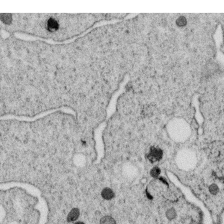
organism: C. elegans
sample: C. elegans oocyte; sperm cells